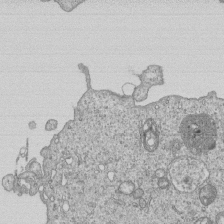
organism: Human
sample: MDA-MB-231 cells